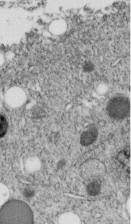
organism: C. elegans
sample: C. elegans embryo early stage